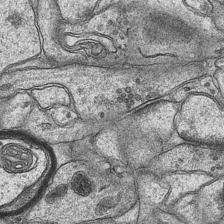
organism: Mouse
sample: CA1 Hippocampus